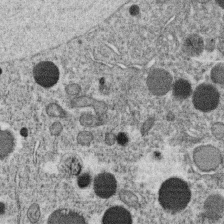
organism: C. elegans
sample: C. elegans oocyte; sperm cells